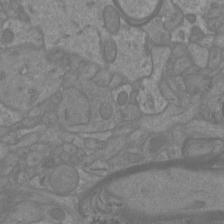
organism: Mouse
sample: Cortical neurons